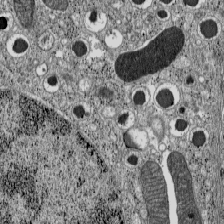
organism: C57BL Mouse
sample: Pancreatic islet